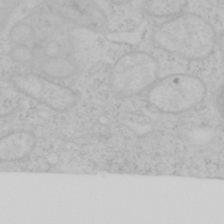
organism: Mouse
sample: OT-I killer T cells with ID8 ovarian cancer cells